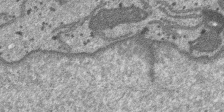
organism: Human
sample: Lung epithelial cells infected with SARS-CoV-2